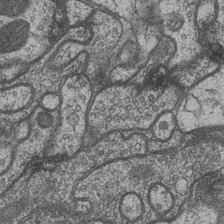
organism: Drosophila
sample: Optic medulla